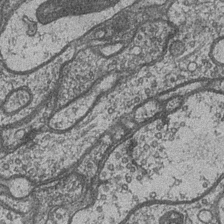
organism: Drosophila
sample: Optic medulla